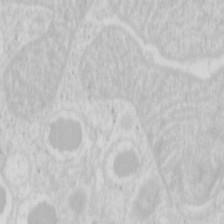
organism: Mouse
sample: Pancreas